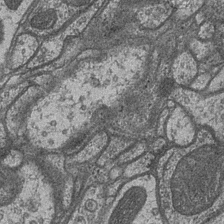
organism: Drosophila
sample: Optic medulla